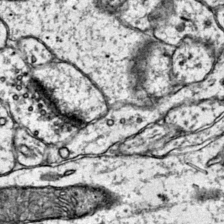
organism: Mouse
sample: Primary visual cortex